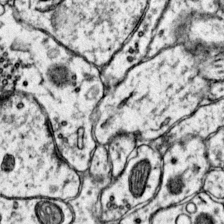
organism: Mouse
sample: Primary visual cortex